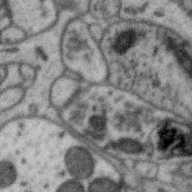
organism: Zebra finch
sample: Brain